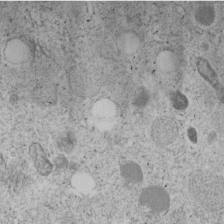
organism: C. elegans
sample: C. elegans embryo early stage